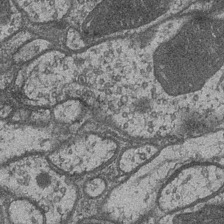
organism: Drosophila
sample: Optic medulla